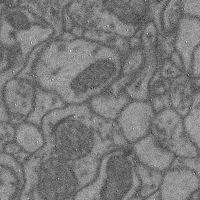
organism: Mouse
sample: Cerebral cortex